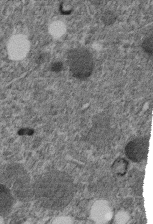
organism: C. elegans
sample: C. elegans embryo early stage